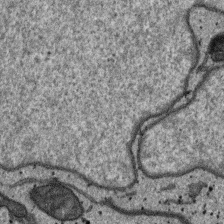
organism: Human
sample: Lung epithelial cells, uninfected (mock) control